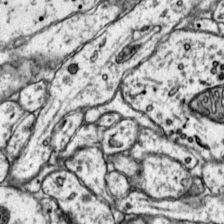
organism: Mouse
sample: Primary visual cortex